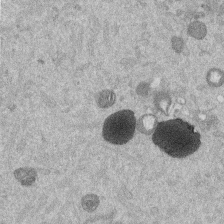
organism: Mouse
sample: Dividing mouse embryo 1 cell stage